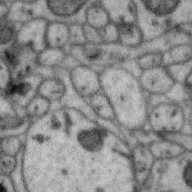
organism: Zebra finch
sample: Brain